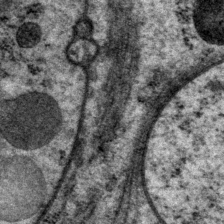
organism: P. pacificus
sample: Pharynx